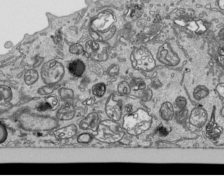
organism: Human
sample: Mitochondria in HCT116 cells